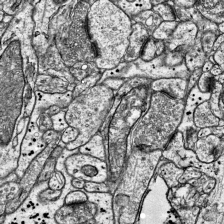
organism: Mouse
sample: Visual Cortex